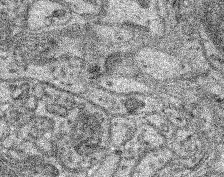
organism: Mouse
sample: Retina